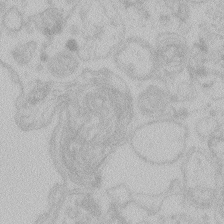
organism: Zebrafish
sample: Macrophage infected with Toxoplasma gondii